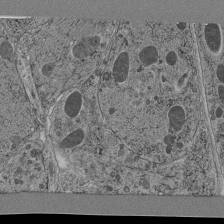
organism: C. elegans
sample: C. elegans pharynx